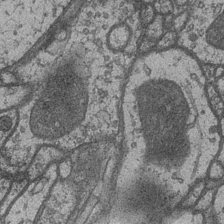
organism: Drosophila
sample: Optic medulla